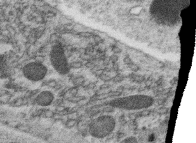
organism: C. elegans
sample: C. elegans oocyte; sperm cells